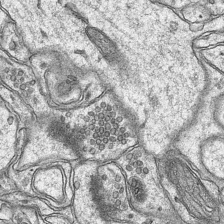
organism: Mouse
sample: CA1 Hippocampus